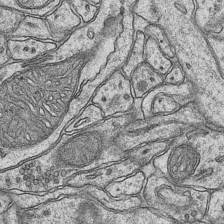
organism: Mouse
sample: CA1 Hippocampus